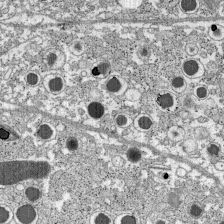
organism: C57BL Mouse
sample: Pancreatic islet